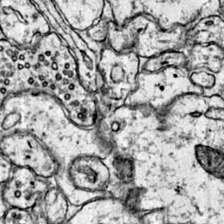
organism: Mouse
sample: Primary visual cortex